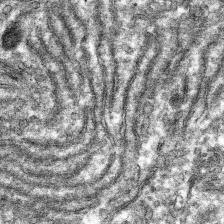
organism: Mouse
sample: Mouse hepatocytes